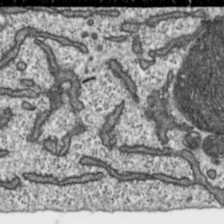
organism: Toxoplasma gondii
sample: Parasites in a vacuole inside a host cell